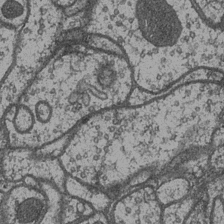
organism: Drosophila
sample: Optic medulla